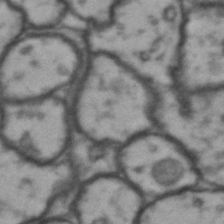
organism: Drosophila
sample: Brain